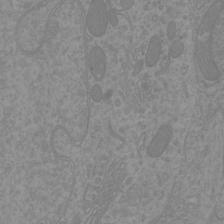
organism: Mouse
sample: Cortical neurons